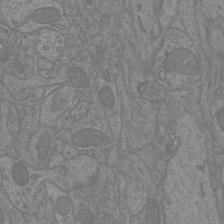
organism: Mouse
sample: Cortical neurons